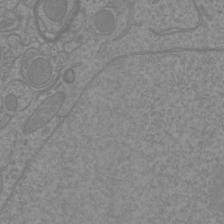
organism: Mouse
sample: Cortical neurons